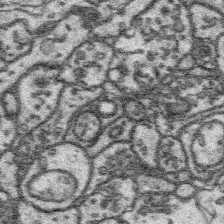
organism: Platynereis dumerilii